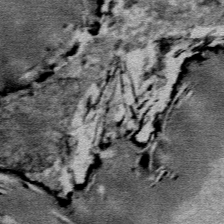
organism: Mouse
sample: Mouse Salivary gland